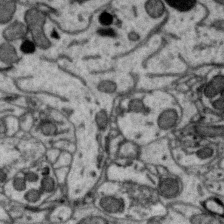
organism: Zebra finch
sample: Brain